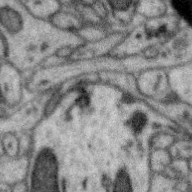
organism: Zebra finch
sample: Brain